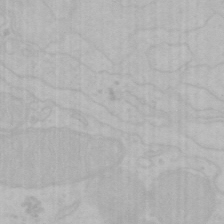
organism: Mouse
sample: Choroid plexus